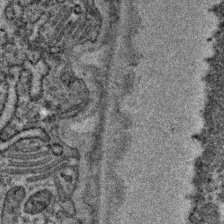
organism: C. elegans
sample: C. elegans embryo